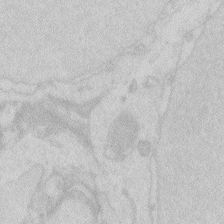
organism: Zebrafish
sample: Macrophage